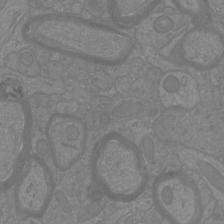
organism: Mouse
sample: Cortical neurons